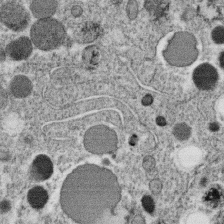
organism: C. elegans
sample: C. elegans oocyte; sperm cells